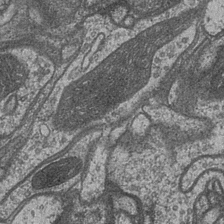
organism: Drosophila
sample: Optic medulla